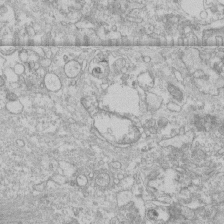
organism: Human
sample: CRL-1474